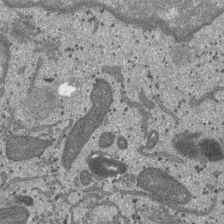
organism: Human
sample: Lung epithelial cells infected with SARS-CoV-2